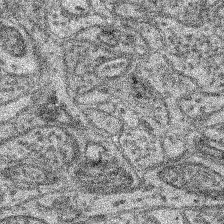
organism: Mouse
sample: Retina